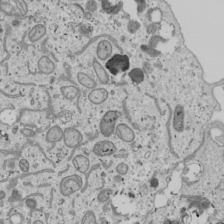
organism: Human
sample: Mitochondria in U2OS cells